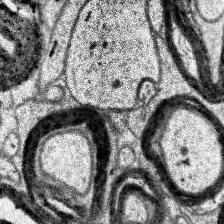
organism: Human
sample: Temporal Lobe